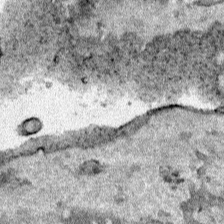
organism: Human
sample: Mitochondria in HCT116 cells